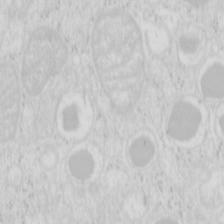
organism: Mouse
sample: Pancreas